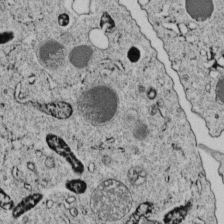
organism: C. elegans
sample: C. elegans embryo early stage